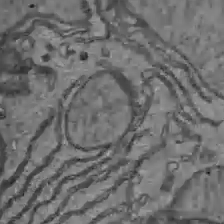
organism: C57BL Mouse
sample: Liver